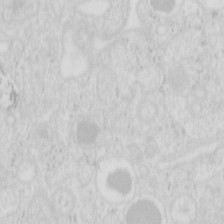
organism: Mouse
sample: Pancreas